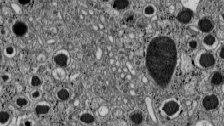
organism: C57BL Mouse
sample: Pancreatic islet